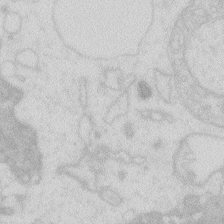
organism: Zebrafish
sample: Macrophage